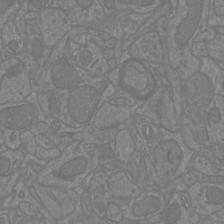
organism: Mouse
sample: Cortical neurons